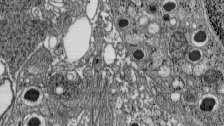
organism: C57BL Mouse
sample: Pancreatic islet